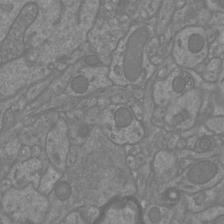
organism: Mouse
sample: Cortical neurons